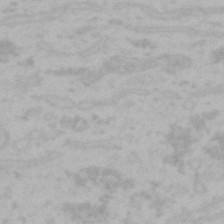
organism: Mouse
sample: Choroid plexus